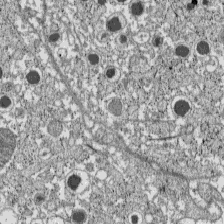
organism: C57BL Mouse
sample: Pancreatic islet